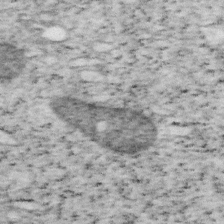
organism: Mouse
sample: OT-I killer T cells with ID8 ovarian cancer cells